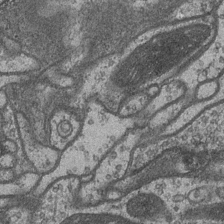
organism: Drosophila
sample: Optic medulla